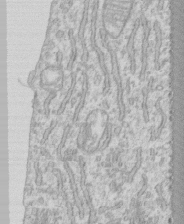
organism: Human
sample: CRL-1474